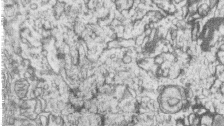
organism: Zebrafish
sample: synaptic ribbons in rod cells and cone cells